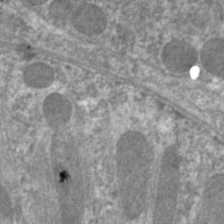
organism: C. elegans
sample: Pharynx